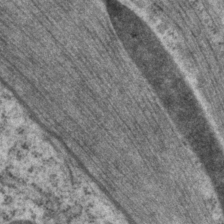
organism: P. pacificus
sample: Pharynx